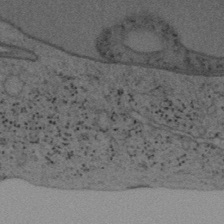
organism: Human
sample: HeLa cells